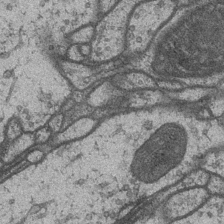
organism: Drosophila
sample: Optic medulla